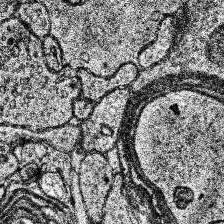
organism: Human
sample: Temporal Lobe